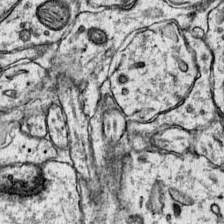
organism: Mouse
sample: Primary visual cortex